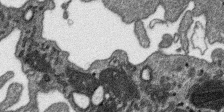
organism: Human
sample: Lung epithelial cells infected with SARS-CoV-2